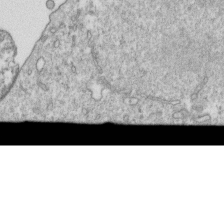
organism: Mouse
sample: Activated OT-1 CD8+ T cells